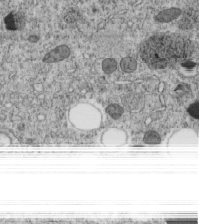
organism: C. elegans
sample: C. elegans embryo early stage